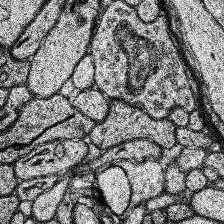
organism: Human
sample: Temporal Lobe